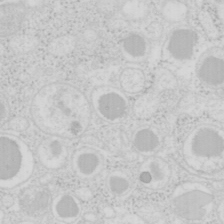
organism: Mouse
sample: Pancreas